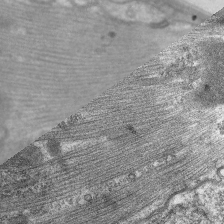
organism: C. elegans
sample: Pharynx